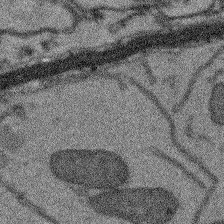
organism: Arabidopsis thaliana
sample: Root tip